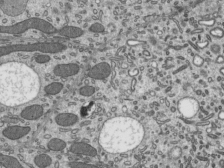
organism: Mouse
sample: Mouse epididymis efferent ductule cilia